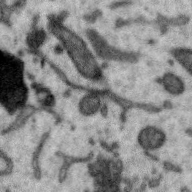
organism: Zebra finch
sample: Brain